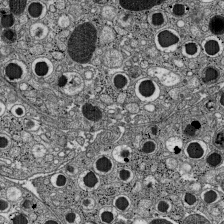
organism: C57BL Mouse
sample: Pancreatic islet